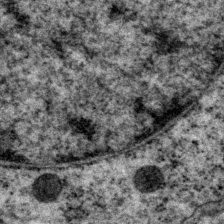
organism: P. pacificus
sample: Pharynx